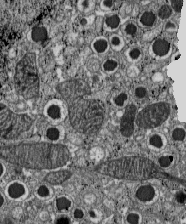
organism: C57BL Mouse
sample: Pancreatic islet